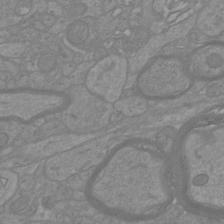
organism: Mouse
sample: Cortical neurons